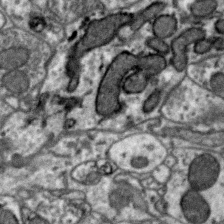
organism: Zebra finch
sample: Brain